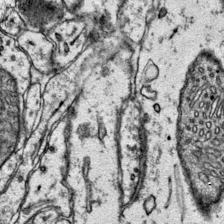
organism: Mouse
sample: Primary visual cortex